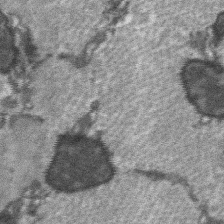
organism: C57BL Mouse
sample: Soleus